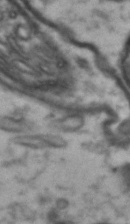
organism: Drosophila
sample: Brain